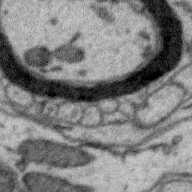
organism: Zebra finch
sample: Brain